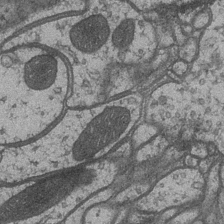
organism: Drosophila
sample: Optic medulla